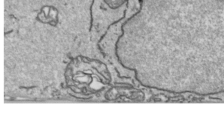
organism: Human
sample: Mitochondria in HCT116 cells